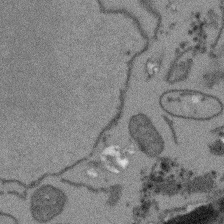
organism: Arabidopsis thaliana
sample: Root tip